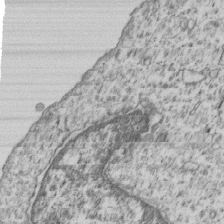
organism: Human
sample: MDA-MB-231 cells